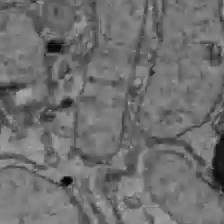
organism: C57BL Mouse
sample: Liver